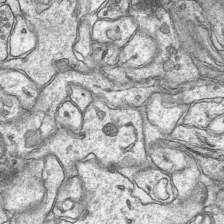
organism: Mouse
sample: CA1 Hippocampus